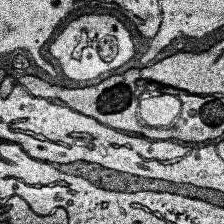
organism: Human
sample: Temporal Lobe